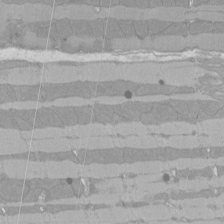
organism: Rat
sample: Left ventricle